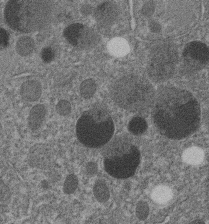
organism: C. elegans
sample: C. elegans embryo early stage